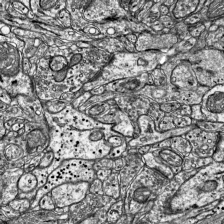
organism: Mouse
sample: Visual Cortex